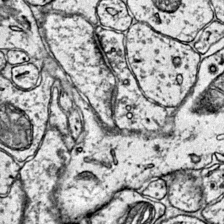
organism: Mouse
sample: Primary visual cortex